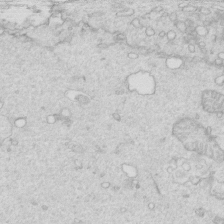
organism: Mouse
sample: Multiciliated cells